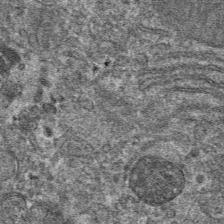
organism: Mouse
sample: Mouse hepatocytes